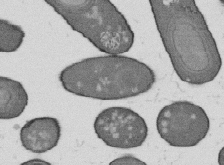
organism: B. subtilis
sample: Bacterial spore